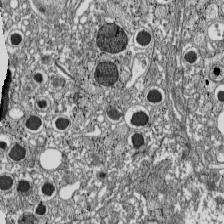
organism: C57BL Mouse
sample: Pancreatic islet